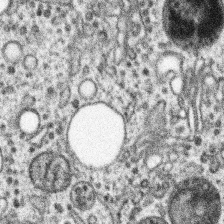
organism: Human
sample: HeLa cells